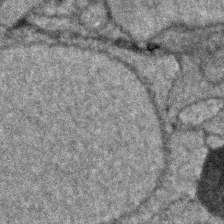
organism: Zebrafish